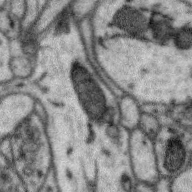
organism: Zebra finch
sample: Brain